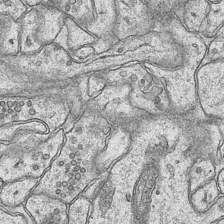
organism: Mouse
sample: CA1 Hippocampus